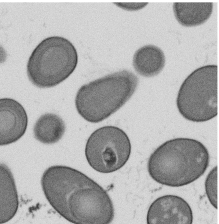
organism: B. subtilis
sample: Bacterial spore